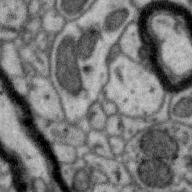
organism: Zebra finch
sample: Brain